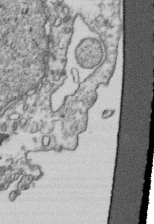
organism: Human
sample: Activated Jurkat CD4+ T cells